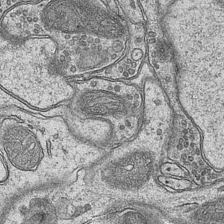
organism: Mouse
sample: CA1 Hippocampus